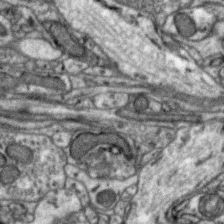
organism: Zebra finch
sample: Brain